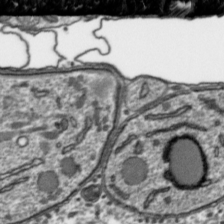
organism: Toxoplasma gondii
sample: Parasites in a vacuole inside a host cell